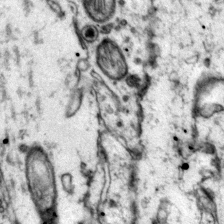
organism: Mouse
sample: Primary visual cortex